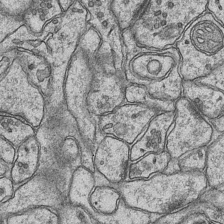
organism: Mouse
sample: CA1 Hippocampus